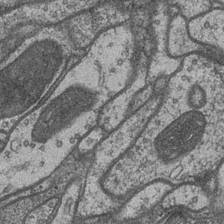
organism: Drosophila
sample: Optic medulla